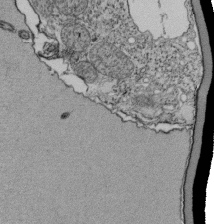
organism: Tetrahymena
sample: Cilia in tetrahymena